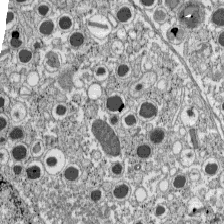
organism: C57BL Mouse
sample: Pancreatic islet